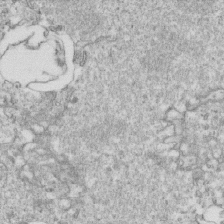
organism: Mouse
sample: Activated OT-1 CD8+ T cells